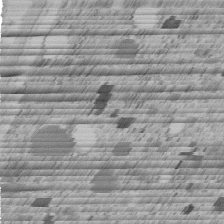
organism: C. elegans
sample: C. elegans embryo early stage